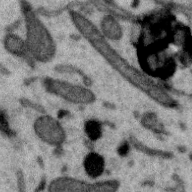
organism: Zebra finch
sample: Brain